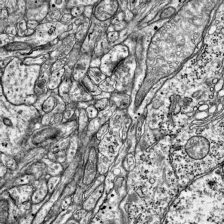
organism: Mouse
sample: Visual Cortex